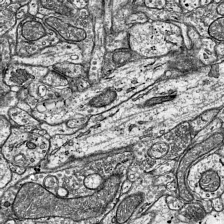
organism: Mouse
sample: Visual Cortex